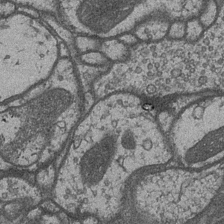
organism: Drosophila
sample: Optic medulla